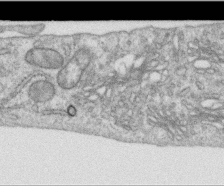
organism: Human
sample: Centriole in RPE cells